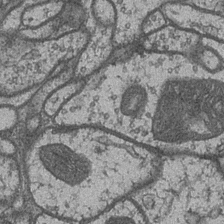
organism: Drosophila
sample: Optic medulla